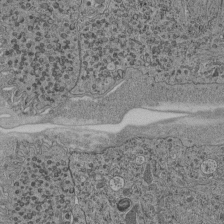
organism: C. elegans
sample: C. elegans pharynx